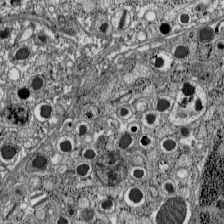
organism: C57BL Mouse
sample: Pancreatic islet